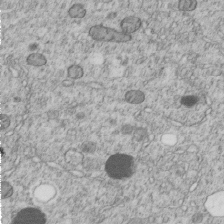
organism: C. elegans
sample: C. elegans embryo early stage